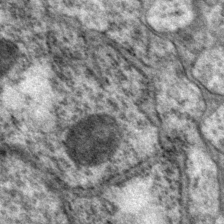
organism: P. pacificus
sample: Pharynx